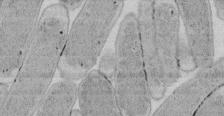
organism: E. coli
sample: Bacterial nucleoid